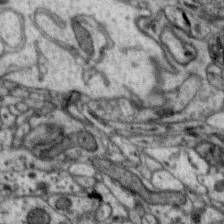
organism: Zebra finch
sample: Brain